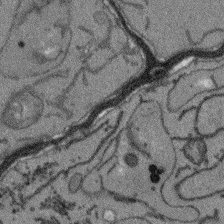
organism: Arabidopsis thaliana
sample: Root tip